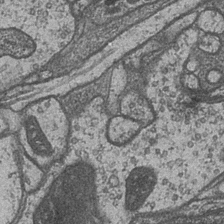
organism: Drosophila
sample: Optic medulla